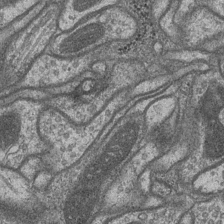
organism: Drosophila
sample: Optic medulla